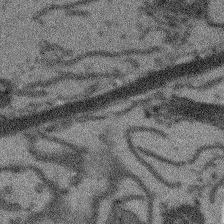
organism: Arabidopsis thaliana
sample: Root tip